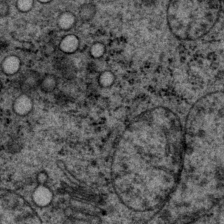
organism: P. pacificus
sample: Pharynx